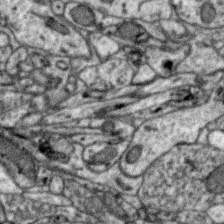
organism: Zebra finch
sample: Brain